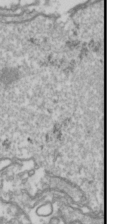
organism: Drosophila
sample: Cell division; meiosis; drosophila spermatocytes